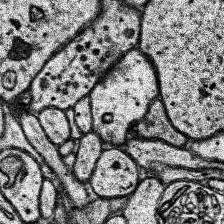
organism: Human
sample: Temporal Lobe